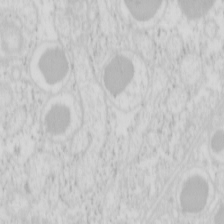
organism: Mouse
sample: Pancreas